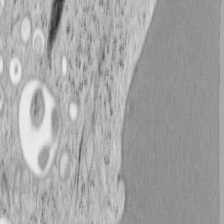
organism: Human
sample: HeLa cells